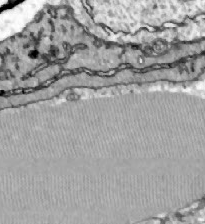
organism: Zebrafish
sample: Actinotrichia fibers